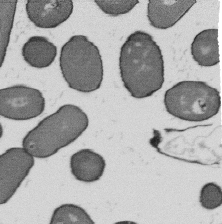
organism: B. subtilis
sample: Bacterial spore